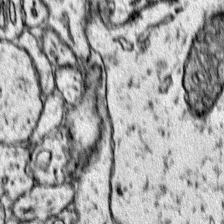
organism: Mouse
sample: Primary visual cortex